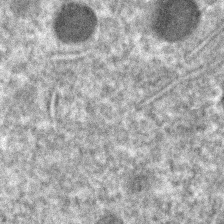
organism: C. elegans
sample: C. elegans embryo